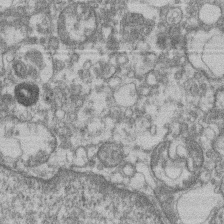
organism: Mouse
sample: T cell stromal cell synapse